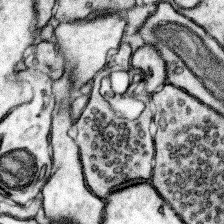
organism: Mouse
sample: Somatosensory cortex neuropil